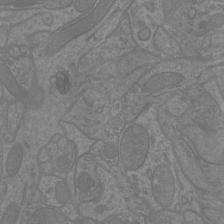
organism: Mouse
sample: Cortical neurons